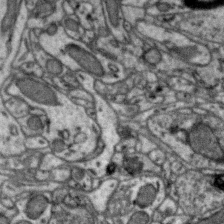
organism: Zebra finch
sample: Brain